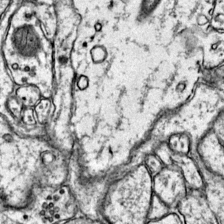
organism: Mouse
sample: Primary visual cortex